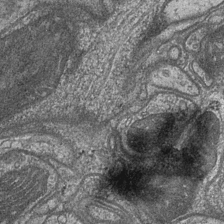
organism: Drosophila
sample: Optic medulla